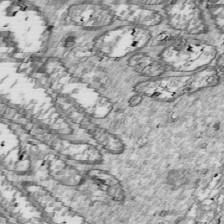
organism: Drosophila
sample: Cell division; meiosis; drosophila spermatocytes